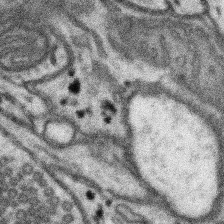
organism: Mouse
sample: Somatosensory cortex neuropil